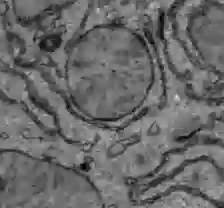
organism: C57BL Mouse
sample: Liver